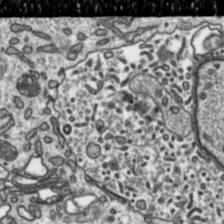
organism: Toxoplasma gondii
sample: Parasites in a vacuole inside a host cell